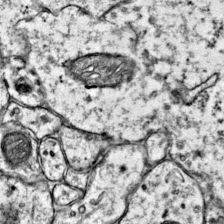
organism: Mouse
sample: Primary visual cortex